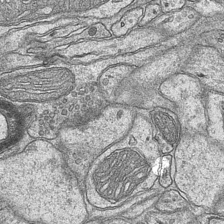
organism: Mouse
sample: CA1 Hippocampus